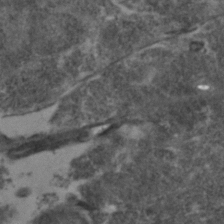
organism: Zebrafish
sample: Zebrafish embryo